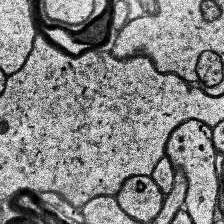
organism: Human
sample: Temporal Lobe